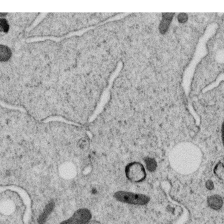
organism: C. elegans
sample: C. elegans oocyte; sperm cells